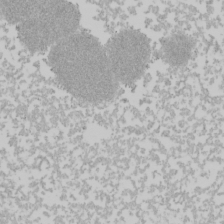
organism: Mouse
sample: Cancer cell death in ED-1 cells